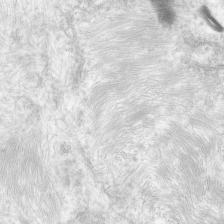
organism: Human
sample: Neocortex